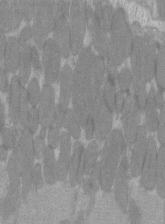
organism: C57BL Mouse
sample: Tibialis anterior muscle cell